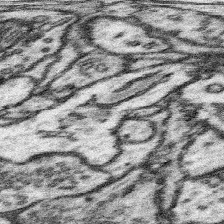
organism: Mouse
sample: Somatosensory cortex neuropil